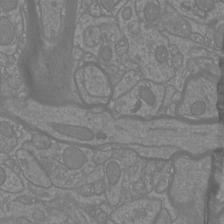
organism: Mouse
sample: Cortical neurons